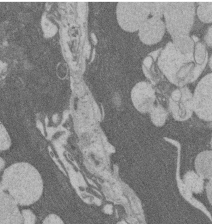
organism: Rat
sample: Salivary granule